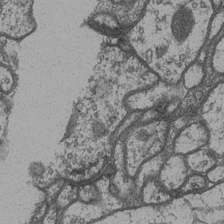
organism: Drosophila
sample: Optic medulla